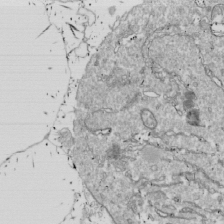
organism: Drosophila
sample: Cell division; meiosis; drosophila spermatocytes